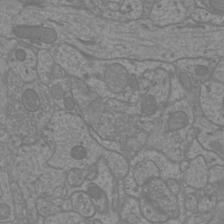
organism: Mouse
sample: Cortical neurons